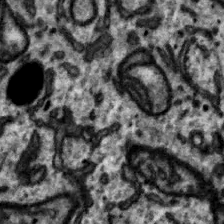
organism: Human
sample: HeLa cells